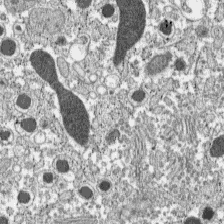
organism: C57BL Mouse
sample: Pancreatic islet